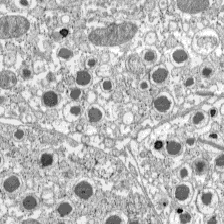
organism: C57BL Mouse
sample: Pancreatic islet